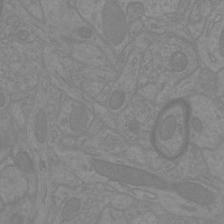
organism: Mouse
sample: Cortical neurons